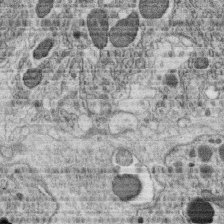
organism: C. elegans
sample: C. elegans oocyte; sperm cells